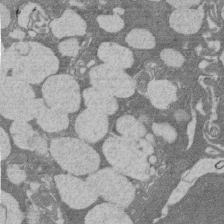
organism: Rat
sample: Salivary granule